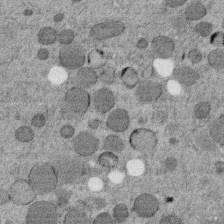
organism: C. elegans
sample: C. elegans embryo early stage